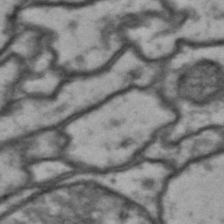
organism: Drosophila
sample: Brain